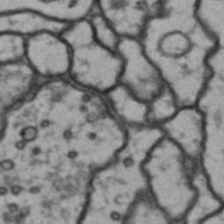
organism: Drosophila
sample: Brain